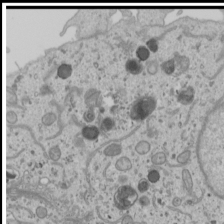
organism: Human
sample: Mitochondria in U2OS cells